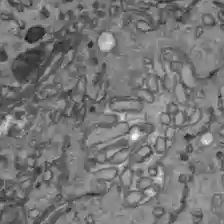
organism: C57BL Mouse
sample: Liver